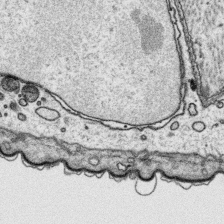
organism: Platynereis dumerilii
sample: Parapodia